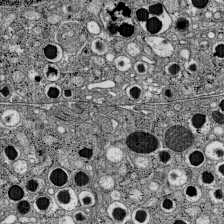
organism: C57BL Mouse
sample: Pancreatic islet